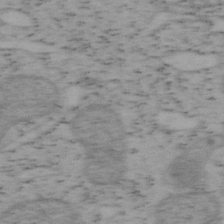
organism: Mouse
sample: OT-I killer T cells with ID8 ovarian cancer cells